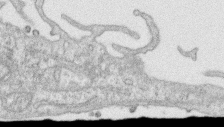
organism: Human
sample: HeLa cell HIV synapse